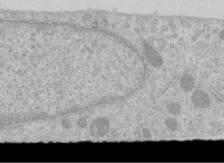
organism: Human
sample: Centriole in RPE cells